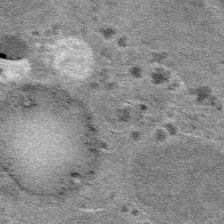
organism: Mouse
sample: Mouse hepatocytes